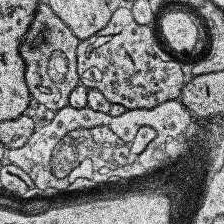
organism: Human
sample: Temporal Lobe